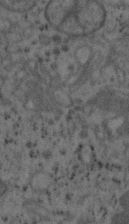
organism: Human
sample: HeLa cells